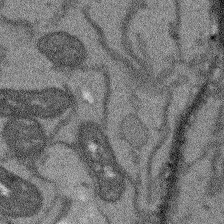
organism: Arabidopsis thaliana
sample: Root tip